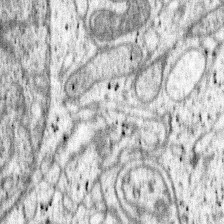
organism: Human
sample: HeLa cells